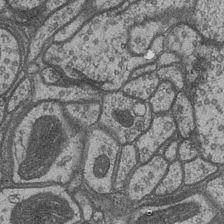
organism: Drosophila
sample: Optic medulla